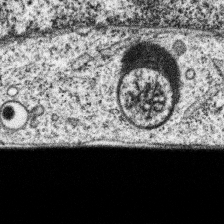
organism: Human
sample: HeLa cells